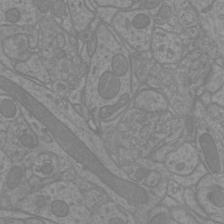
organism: Mouse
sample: Cortical neurons